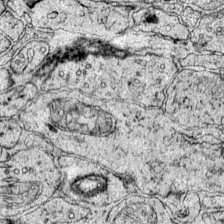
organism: Mouse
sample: Primary visual cortex